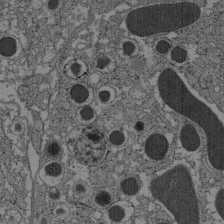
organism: C57BL Mouse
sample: Pancreatic islet